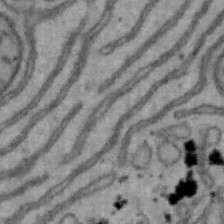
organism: Mouse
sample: Liver